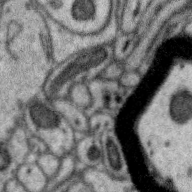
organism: Zebra finch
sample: Brain